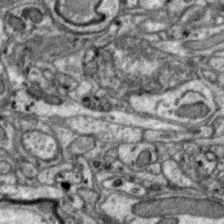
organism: Zebra finch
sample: Brain